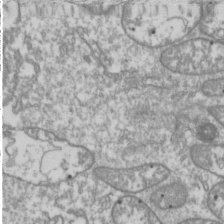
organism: Drosophila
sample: Cell division; meiosis; drosophila spermatocytes